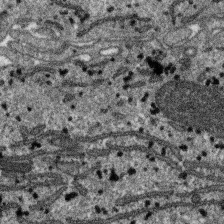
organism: Human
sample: Lung epithelial cells infected with SARS-CoV-2